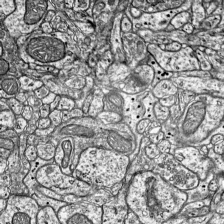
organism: Mouse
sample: Visual Cortex